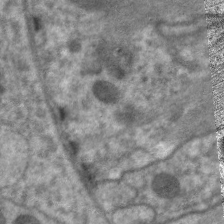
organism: C. elegans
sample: Pharynx